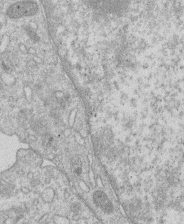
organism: Human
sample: Macrophage cells